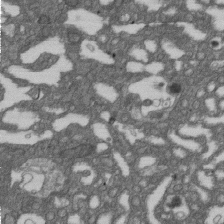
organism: Drosophila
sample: Nephrocyte